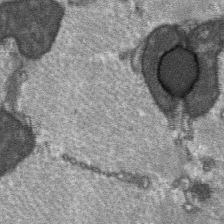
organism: C57BL Mouse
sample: Soleus